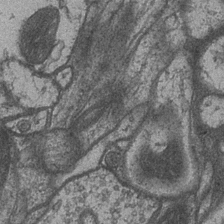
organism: Drosophila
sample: Optic medulla